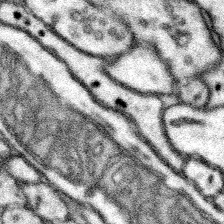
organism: Mouse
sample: Somatosensory cortex neuropil